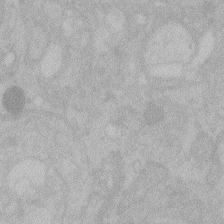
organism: Zebrafish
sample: Macrophage infected with Toxoplasma gondii